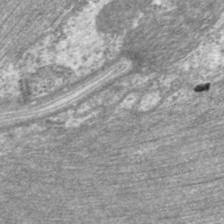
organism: C. elegans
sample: Pharynx